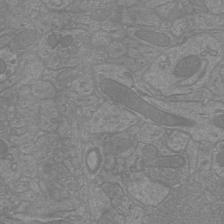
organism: Mouse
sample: Cortical neurons